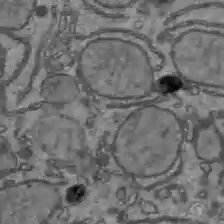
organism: C57BL Mouse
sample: Liver